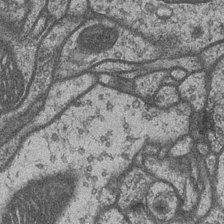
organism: Drosophila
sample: Optic medulla